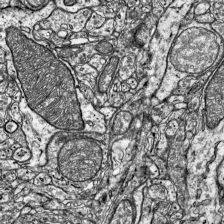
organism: Mouse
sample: Visual Cortex